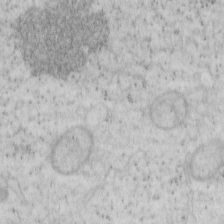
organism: Human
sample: HeLa cells